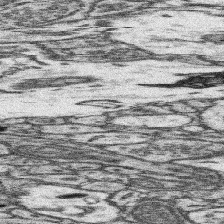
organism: Mouse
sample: Somatosensory cortex neuropil